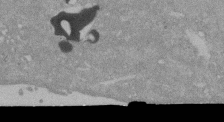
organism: Mouse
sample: ED-1 cell nuclei; centrioles